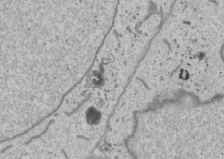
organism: Human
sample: Mitochondria in U2OS cells